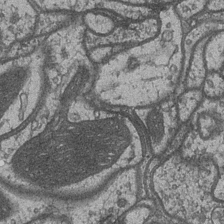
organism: Drosophila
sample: Optic medulla